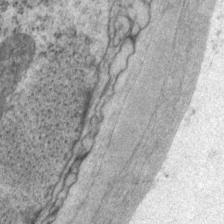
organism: P. pacificus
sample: Pharynx